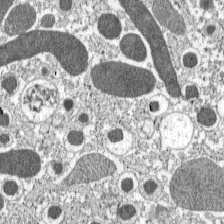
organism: C57BL Mouse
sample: Pancreatic islet